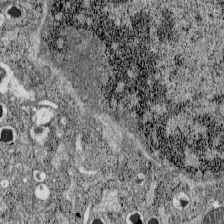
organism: C57BL Mouse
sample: Pancreatic islet